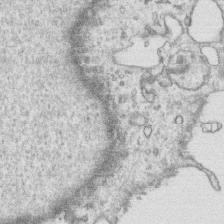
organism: Human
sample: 1205lu cells